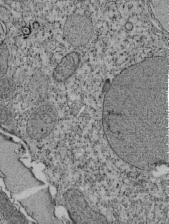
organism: Tetrahymena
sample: Cilia in tetrahymena